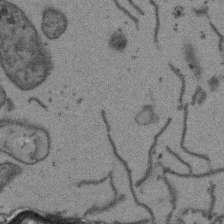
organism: Arabidopsis thaliana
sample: Root tip